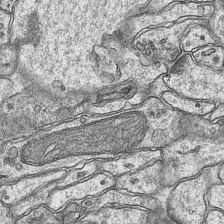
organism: Mouse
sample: CA1 Hippocampus